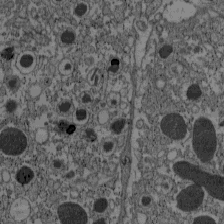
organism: C57BL Mouse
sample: Pancreatic islet